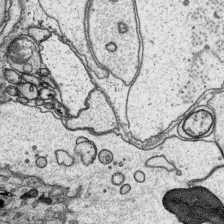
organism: Platynereis dumerilii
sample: Parapodia